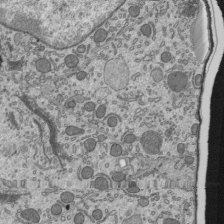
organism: Mouse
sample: Mouse epididymis efferent ductule cilia